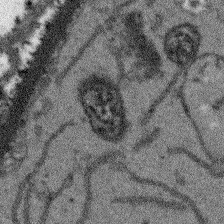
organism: Arabidopsis thaliana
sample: Root tip